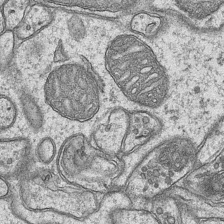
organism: Mouse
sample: CA1 Hippocampus